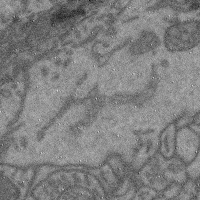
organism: Mouse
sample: Cerebral cortex